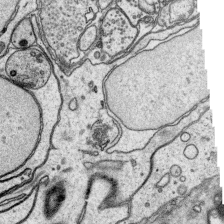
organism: Platynereis dumerilii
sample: Parapodia